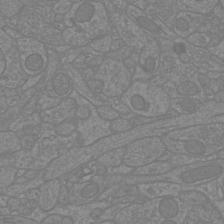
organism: Mouse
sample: Cortical neurons